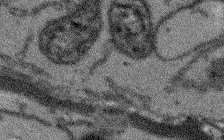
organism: Arabidopsis thaliana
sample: Root tip